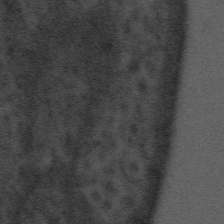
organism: Tuwongella immobilis